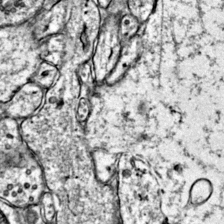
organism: Mouse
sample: Primary visual cortex